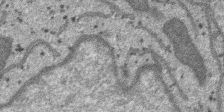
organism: Human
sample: Lung epithelial cells infected with SARS-CoV-2